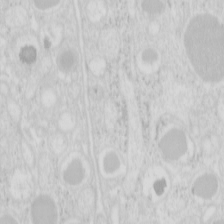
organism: Mouse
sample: Pancreas